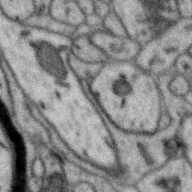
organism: Zebra finch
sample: Brain